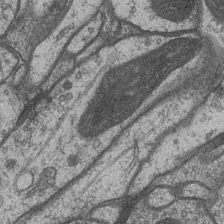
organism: Drosophila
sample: Optic medulla